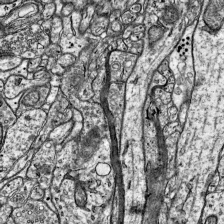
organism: Mouse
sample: Visual Cortex